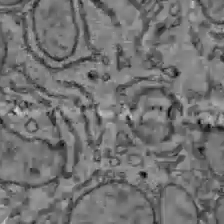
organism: C57BL Mouse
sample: Liver